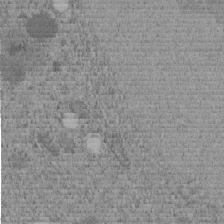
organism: C. elegans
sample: C. elegans embryo early stage